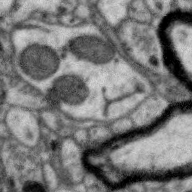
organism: Zebra finch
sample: Brain